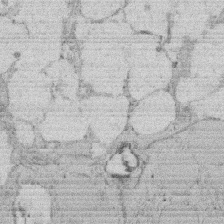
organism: Rat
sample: Salivary granule